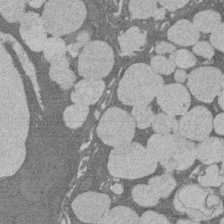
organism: Rat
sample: Salivary granule